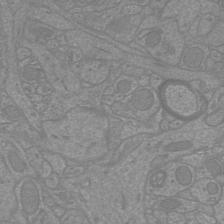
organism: Mouse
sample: Cortical neurons